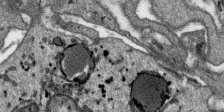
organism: Human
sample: Lung epithelial cells, uninfected (mock) control